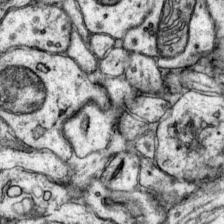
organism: Mouse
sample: Primary visual cortex